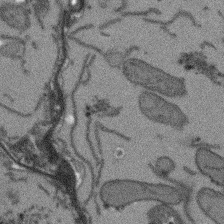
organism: Arabidopsis thaliana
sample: Root tip